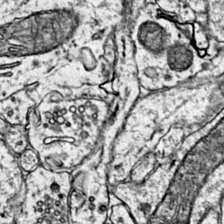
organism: Mouse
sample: Primary visual cortex